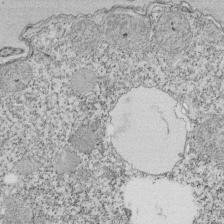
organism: Tetrahymena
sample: Cilia in tetrahymena